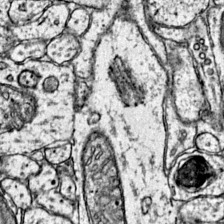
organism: Mouse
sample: Primary visual cortex